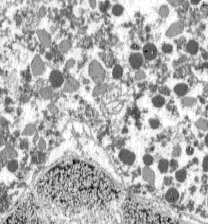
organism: C57BL Mouse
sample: Pancreatic islet